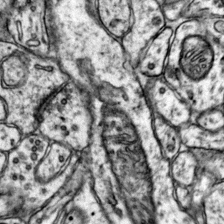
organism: Mouse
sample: Primary visual cortex